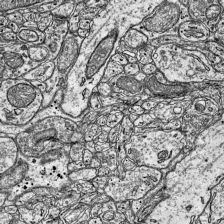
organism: Mouse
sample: Visual Cortex